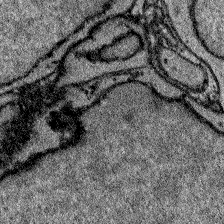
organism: Zebrafish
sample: Larval olfactory bulb